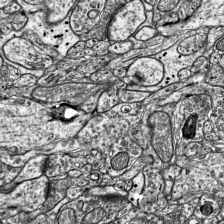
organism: Mouse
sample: Visual Cortex